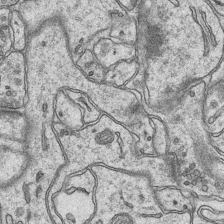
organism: Mouse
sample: CA1 Hippocampus